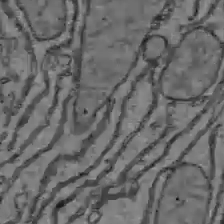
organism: C57BL Mouse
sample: Liver